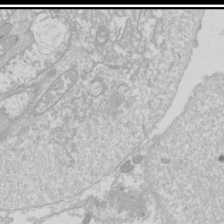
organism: Drosophila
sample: Cell division; meiosis; drosophila spermatocytes